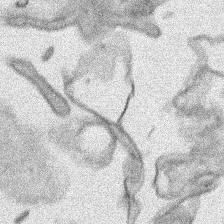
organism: Human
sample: Mitochondria in HCT116 cells